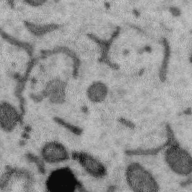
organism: Zebra finch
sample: Brain